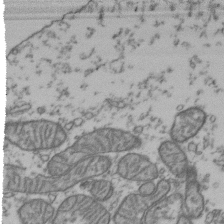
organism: Human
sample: Activated Jurkat CD4+ T cells